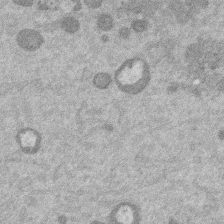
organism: Mouse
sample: Dividing mouse embryo 1 cell stage